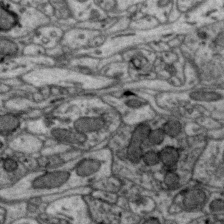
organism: Zebra finch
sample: Brain